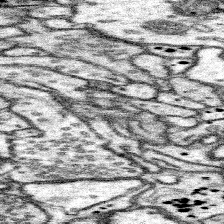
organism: Mouse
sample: Somatosensory cortex neuropil